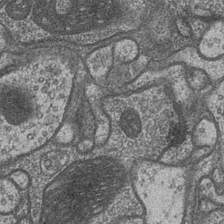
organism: Drosophila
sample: Optic medulla